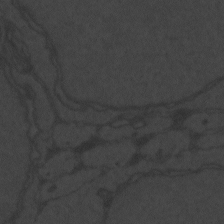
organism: Zebrafish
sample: Macrophage infected with Toxoplasma gondii